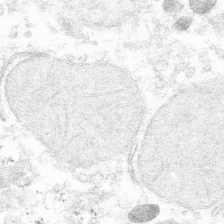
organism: Mouse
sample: Mouse hepatocytes